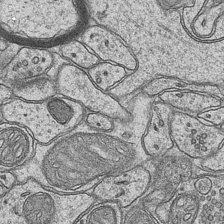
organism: Mouse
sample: CA1 Hippocampus